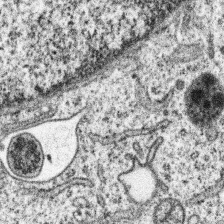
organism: Human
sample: HeLa cells